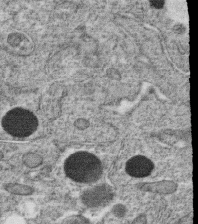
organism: C. elegans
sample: C. elegans oocyte; sperm cells